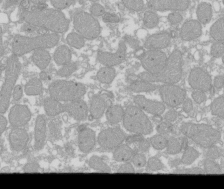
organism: Xenopus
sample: Cilia; centrioles in frog embryo cells